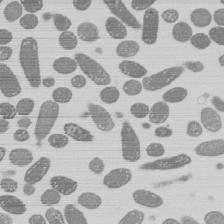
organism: E. coli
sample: Bacterial nucleoid